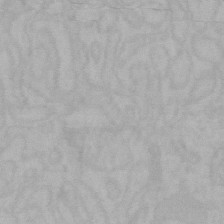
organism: Mouse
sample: Choroid plexus